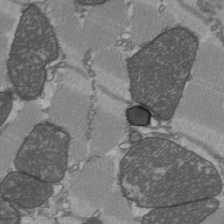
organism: C57BL Mouse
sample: Heart